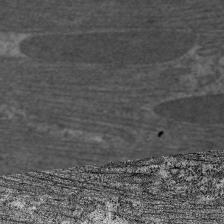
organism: C. elegans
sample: Pharynx